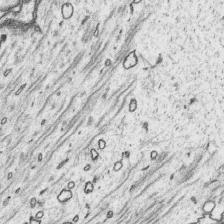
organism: Platynereis dumerilii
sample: Parapodia